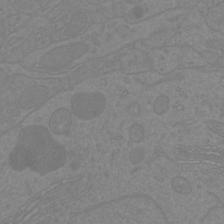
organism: Mouse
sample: Cortical neurons